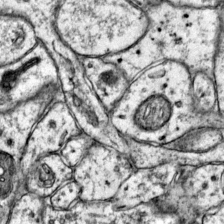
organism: Mouse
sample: Primary visual cortex